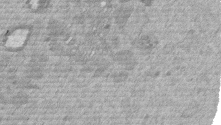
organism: Mouse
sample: Dividing mouse embryo 1 cell stage